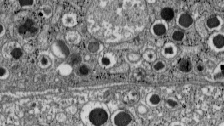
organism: C57BL Mouse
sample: Pancreatic islet